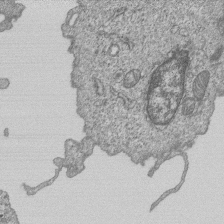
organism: Human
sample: MDA-MB-231 cells